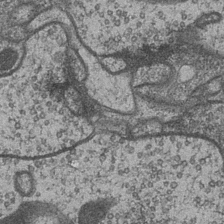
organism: Drosophila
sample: Optic medulla